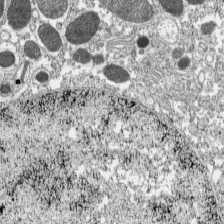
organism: C57BL Mouse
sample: Pancreatic islet